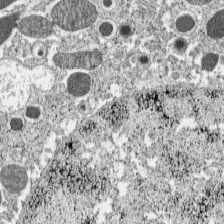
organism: C57BL Mouse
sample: Pancreatic islet